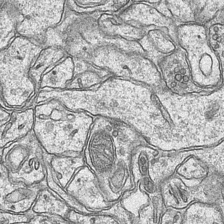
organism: Mouse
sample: CA1 Hippocampus